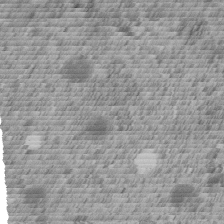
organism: C. elegans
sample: C. elegans embryo early stage